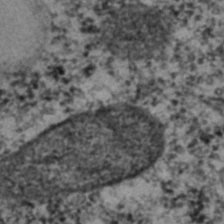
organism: C. elegans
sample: C. elegans embryo